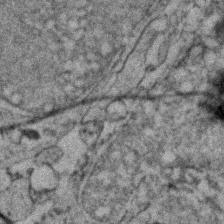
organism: Zebrafish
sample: Zebrafish embryo